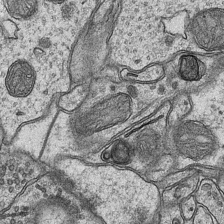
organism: Mouse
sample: CA1 Hippocampus